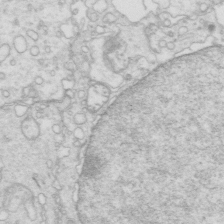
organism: Mouse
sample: Multiciliated cells